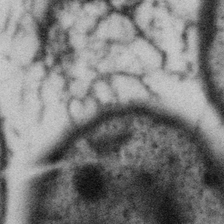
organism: Gemmata obscuriglobus